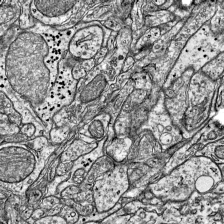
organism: Mouse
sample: Visual Cortex